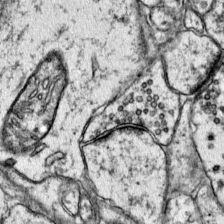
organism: Mouse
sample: Primary visual cortex